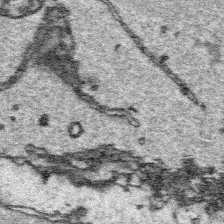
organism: Platynereis dumerilii